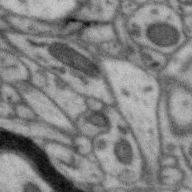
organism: Zebra finch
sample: Brain